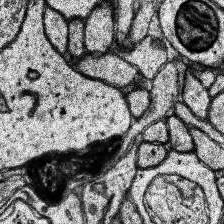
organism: Human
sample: Temporal Lobe